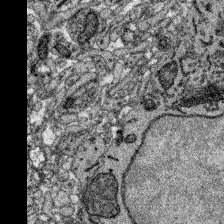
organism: Zebrafish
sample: Larval olfactory bulb